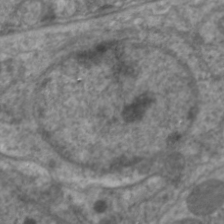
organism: C. elegans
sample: Pharynx